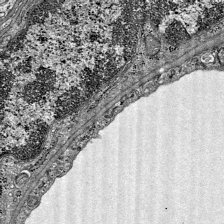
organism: Mouse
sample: Visual Cortex